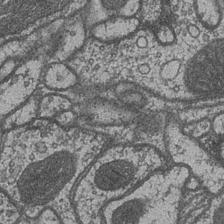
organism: Drosophila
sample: Optic medulla